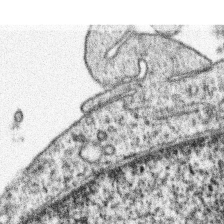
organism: Human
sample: HeLa cells